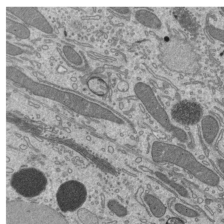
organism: Mouse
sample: Mouse epididymis efferent ductule cilia